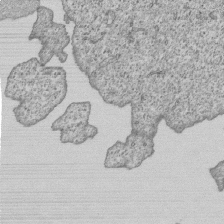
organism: Human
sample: MDA-MB-231 cells